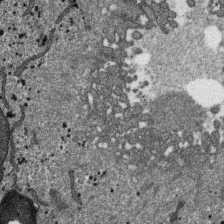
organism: Human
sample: Lung epithelial cells infected with SARS-CoV-2